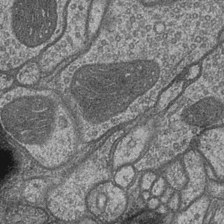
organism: Drosophila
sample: Optic medulla